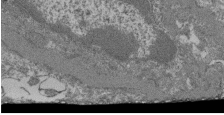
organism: Mouse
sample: Glomerulus